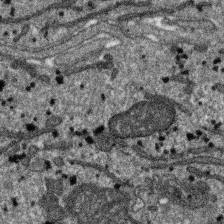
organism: Human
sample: Lung epithelial cells infected with SARS-CoV-2